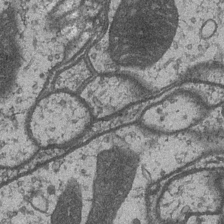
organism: Drosophila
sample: Optic medulla